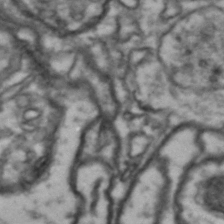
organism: Drosophila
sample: Brain